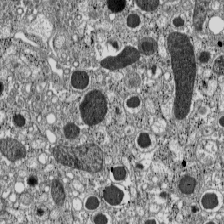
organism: C57BL Mouse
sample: Pancreatic islet